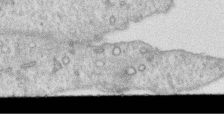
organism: Human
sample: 1205lu cells